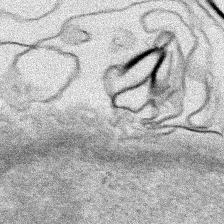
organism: Human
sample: Mitochondria in HCT116 cells